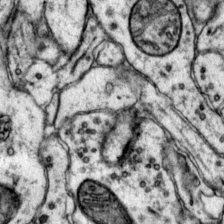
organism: Mouse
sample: Primary visual cortex